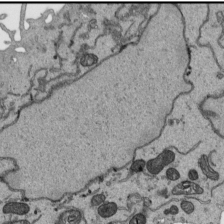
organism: Human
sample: Mitochondria in HCT116 cells